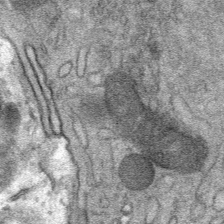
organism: Mouse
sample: Mouse Salivary gland